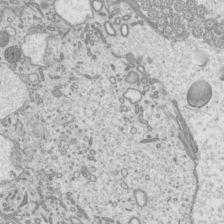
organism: Mouse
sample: Cilia; mouse epididymis